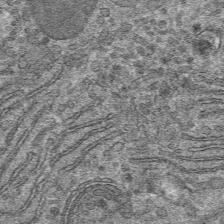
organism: Mouse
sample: Mouse hepatocytes